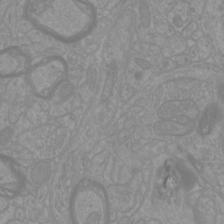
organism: Mouse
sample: Cortical neurons